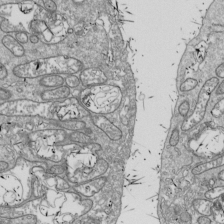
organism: Drosophila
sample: Cell division; meiosis; drosophila spermatocytes